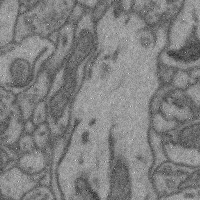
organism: Mouse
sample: Cerebral cortex